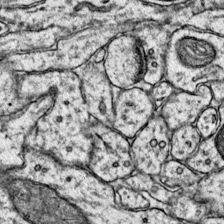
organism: Mouse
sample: Primary visual cortex